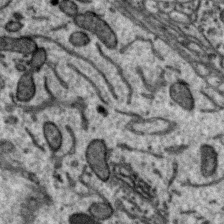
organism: Zebra finch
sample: Brain